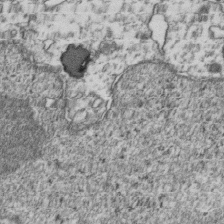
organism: Human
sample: Activated Jurkat CD4+ T cells